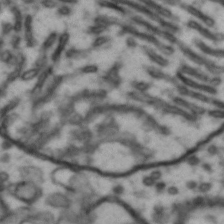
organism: Drosophila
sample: Brain